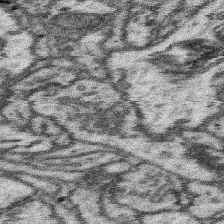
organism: Mouse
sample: Somatosensory cortex neuropil